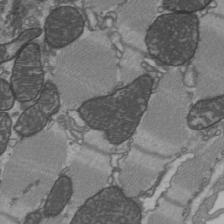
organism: C57BL Mouse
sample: Heart